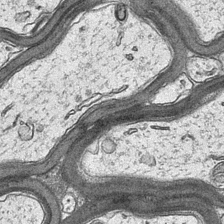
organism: Mouse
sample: CA1 Hippocampus